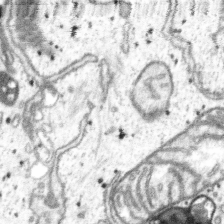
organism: Human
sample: HeLa cells